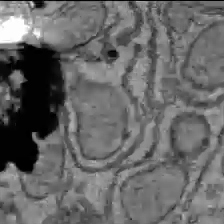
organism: C57BL Mouse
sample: Liver